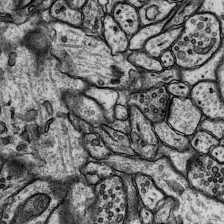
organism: Rat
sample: Hippocampus